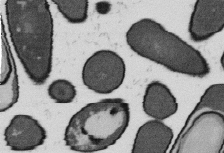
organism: B. subtilis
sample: Bacterial spore